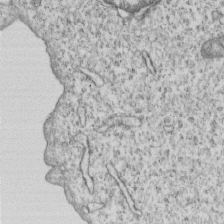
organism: Human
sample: MDA-MB-231 cells